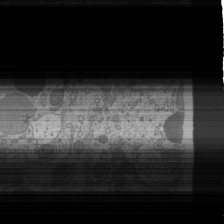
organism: Mouse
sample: Cilia; mouse epididymis